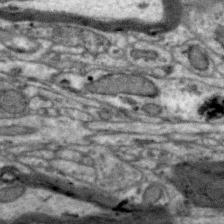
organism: Zebra finch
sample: Brain